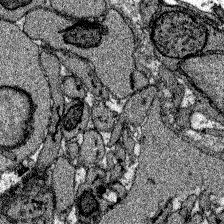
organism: Zebrafish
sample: Larval olfactory bulb